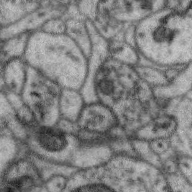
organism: Zebra finch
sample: Brain